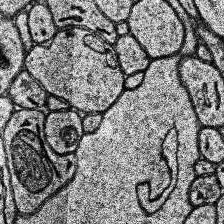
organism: Human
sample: Temporal Lobe